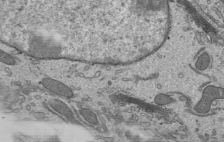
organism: Mouse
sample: Mouse epididymis efferent ductule cilia